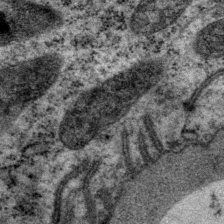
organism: P. pacificus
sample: Pharynx